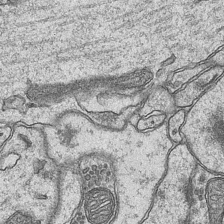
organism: Mouse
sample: CA1 Hippocampus